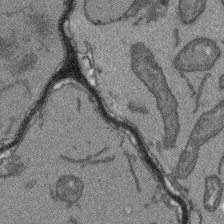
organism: Arabidopsis thaliana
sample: Root tip